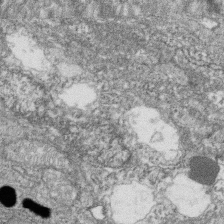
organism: Zebrafish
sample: Cilia; retinal pigment epithelium